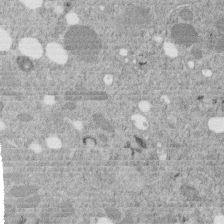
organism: C. elegans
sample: C. elegans embryo early stage